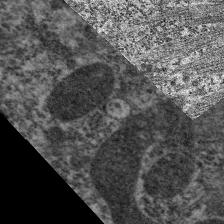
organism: C. elegans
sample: Pharynx